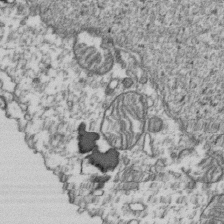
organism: Human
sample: Activated Jurkat CD4+ T cells